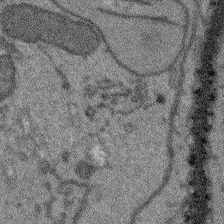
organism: Arabidopsis thaliana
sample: Root tip